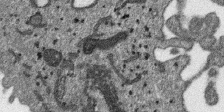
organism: Human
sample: Lung epithelial cells infected with SARS-CoV-2